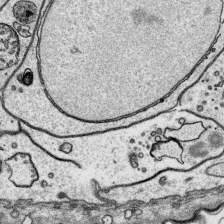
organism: Platynereis dumerilii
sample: Parapodia